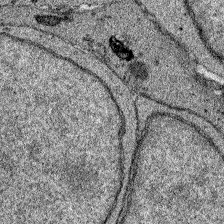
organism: Zebrafish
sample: Larval olfactory bulb